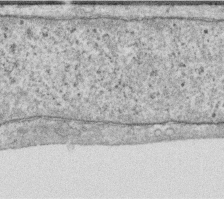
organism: Human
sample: Centriole in RPE cells